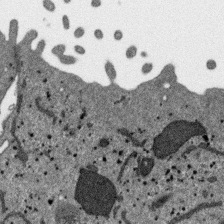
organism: Human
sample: Lung epithelial cells, uninfected (mock) control